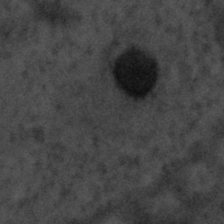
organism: Tuwongella immobilis